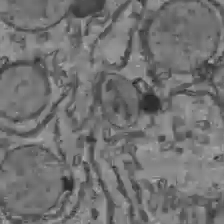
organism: C57BL Mouse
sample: Liver